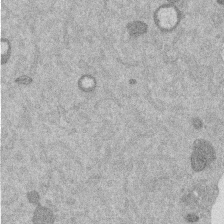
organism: Mouse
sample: Dividing mouse embryo 1 cell stage